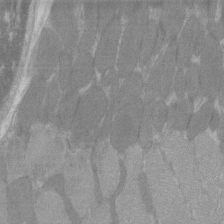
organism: C57BL Mouse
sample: Tibialis anterior muscle cell